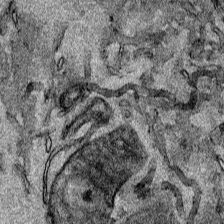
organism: Human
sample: Mitochondria in HCT116 cells